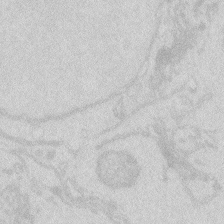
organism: Zebrafish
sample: Macrophage